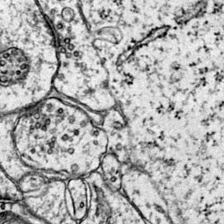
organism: Mouse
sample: Primary visual cortex